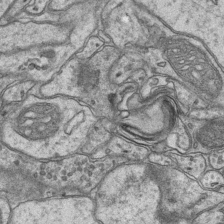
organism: Mouse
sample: CA1 Hippocampus